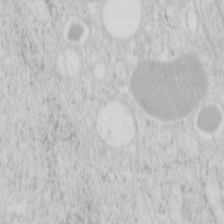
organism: Mouse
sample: Pancreas